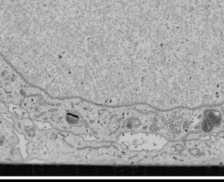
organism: Human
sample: Mitochondria in U2OS cells